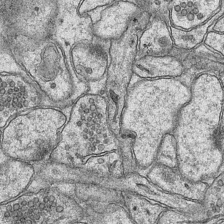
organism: Mouse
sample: CA1 Hippocampus